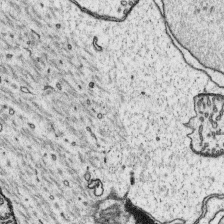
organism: Platynereis dumerilii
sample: Parapodia